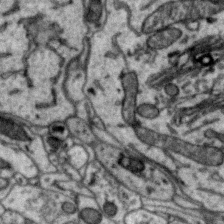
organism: Zebra finch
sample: Brain